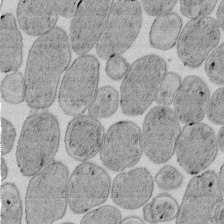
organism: E. coli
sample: Bacterial nucleoid